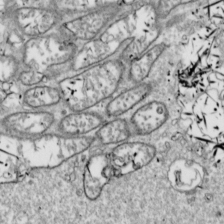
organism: Drosophila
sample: Cell division; meiosis; drosophila spermatocytes